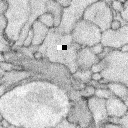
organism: Rabbit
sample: Retina